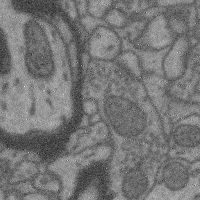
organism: Mouse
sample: Cerebral cortex